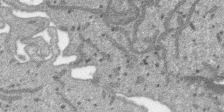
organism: Human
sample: Lung epithelial cells infected with SARS-CoV-2